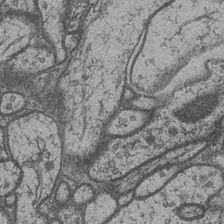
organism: Drosophila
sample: Optic medulla